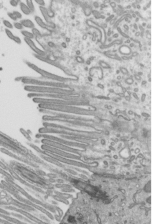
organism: Mouse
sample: Mouse epididymis efferent ductule cilia